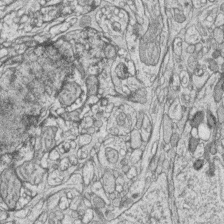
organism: Zebrafish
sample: synaptic ribbons in rod cells and cone cells